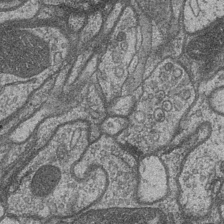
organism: Drosophila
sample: Optic medulla